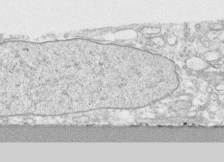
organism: Human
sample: CRL-1474